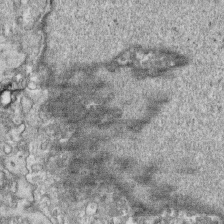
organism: Human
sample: CRL-1474